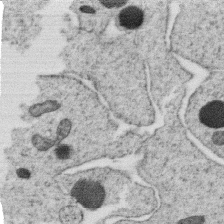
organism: C. elegans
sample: C. elegans oocyte; sperm cells